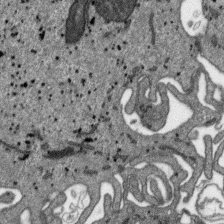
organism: Human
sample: Lung epithelial cells, uninfected (mock) control